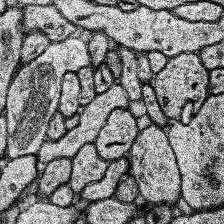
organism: Human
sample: Temporal Lobe